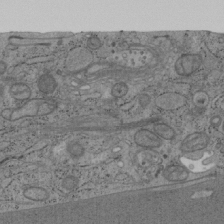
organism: Human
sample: HeLa cells